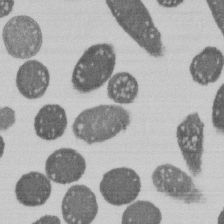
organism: E. coli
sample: Bacterial nucleoid